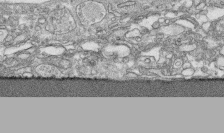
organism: Human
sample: CRL-1474